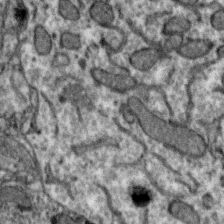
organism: Zebra finch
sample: Brain